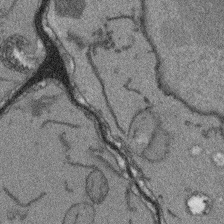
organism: Arabidopsis thaliana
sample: Root tip